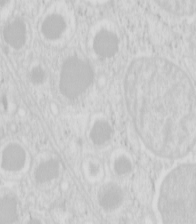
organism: Mouse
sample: Pancreas